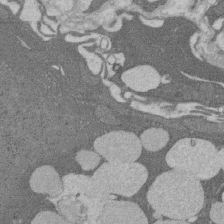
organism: Rat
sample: Salivary granule